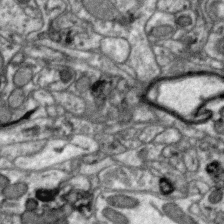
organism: Zebra finch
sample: Brain